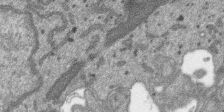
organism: Human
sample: Lung epithelial cells infected with SARS-CoV-2